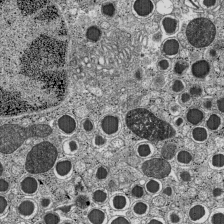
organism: C57BL Mouse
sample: Pancreatic islet